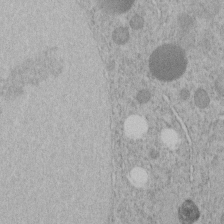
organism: C. elegans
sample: C. elegans embryo early stage